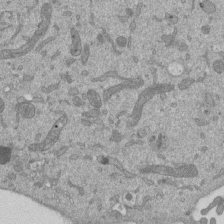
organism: Mouse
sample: ED-1 cell nuclei; centrioles